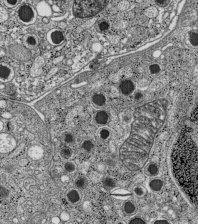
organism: C57BL Mouse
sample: Pancreatic islet